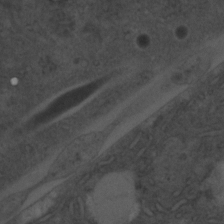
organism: C. elegans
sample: C. elegans embryo